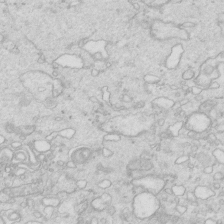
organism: Mouse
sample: Multiciliated cells